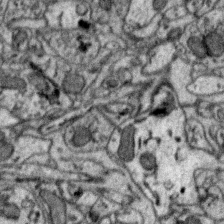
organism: Zebra finch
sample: Brain